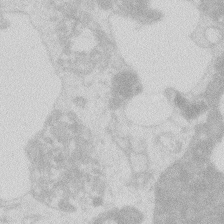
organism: Zebrafish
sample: Macrophage